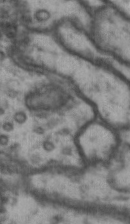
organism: Drosophila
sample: Brain